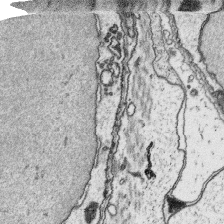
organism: Platynereis dumerilii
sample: Parapodia